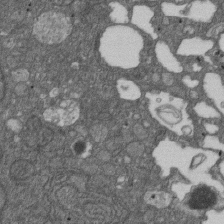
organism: Drosophila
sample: Nephrocyte